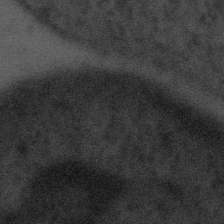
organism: Tuwongella immobilis